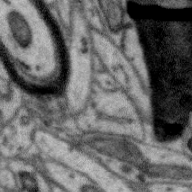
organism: Zebra finch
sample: Brain